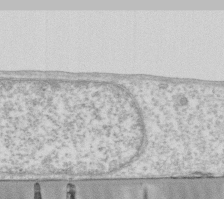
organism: Human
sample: Fibroblast cells